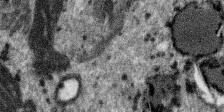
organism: Human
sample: Lung epithelial cells infected with SARS-CoV-2